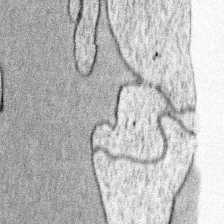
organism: Human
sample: HeLa cells